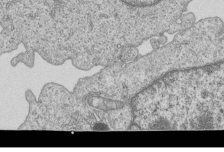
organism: Human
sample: MDA-MB-231 cells